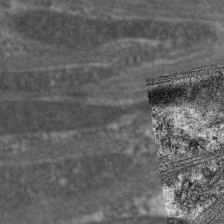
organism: C. elegans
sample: Pharynx